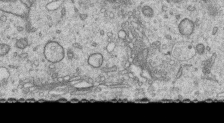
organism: Human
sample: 1205lu cells